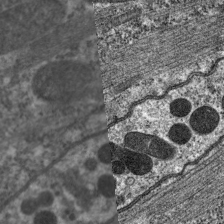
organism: C. elegans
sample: Pharynx